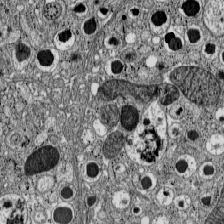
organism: C57BL Mouse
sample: Pancreatic islet